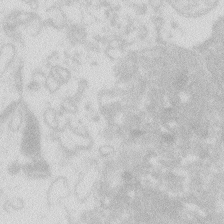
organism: Zebrafish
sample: Macrophage